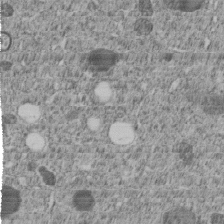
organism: C. elegans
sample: C. elegans embryo early stage